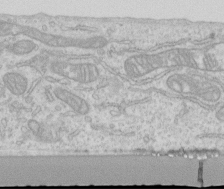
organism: Human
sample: Centriole in RPE cells